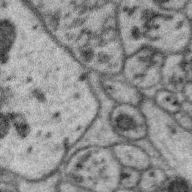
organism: Zebra finch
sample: Brain